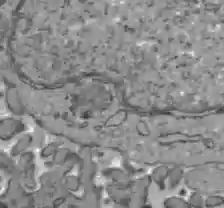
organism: C57BL Mouse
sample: Liver